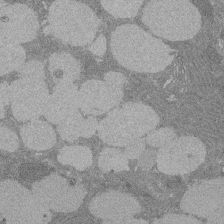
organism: Rat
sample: Salivary granule